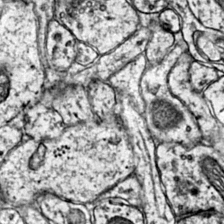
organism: Mouse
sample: Primary visual cortex